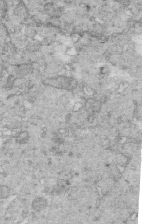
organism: Mouse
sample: Multiciliated cells